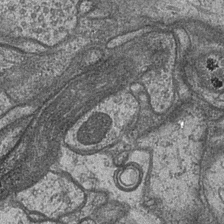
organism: Drosophila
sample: Optic medulla